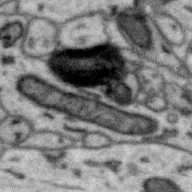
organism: Zebra finch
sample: Brain